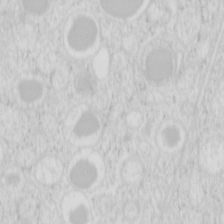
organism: Mouse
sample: Pancreas